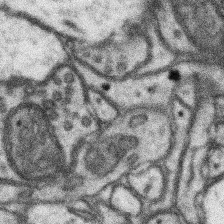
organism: Mouse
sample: Somatosensory cortex neuropil